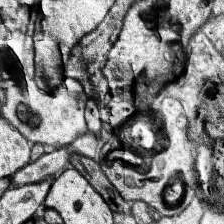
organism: Human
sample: Temporal Lobe